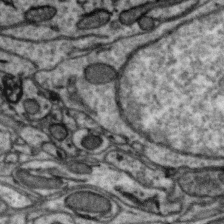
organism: Zebra finch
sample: Brain